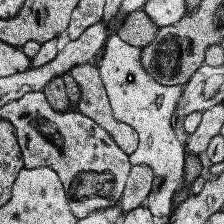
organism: Human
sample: Temporal Lobe